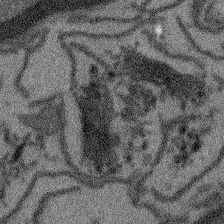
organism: Arabidopsis thaliana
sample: Root tip